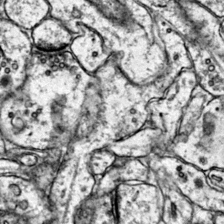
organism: Mouse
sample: Primary visual cortex